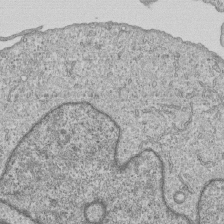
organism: Human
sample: MDA-MB-231 cells